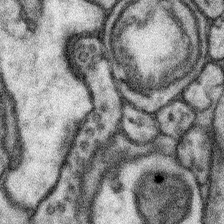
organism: Mouse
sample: Somatosensory cortex neuropil